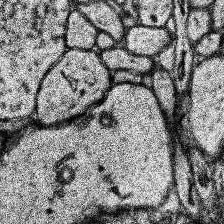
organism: Human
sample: Temporal Lobe